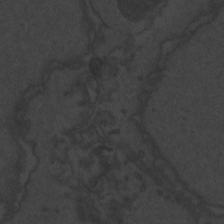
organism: Zebrafish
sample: Macrophage infected with Toxoplasma gondii